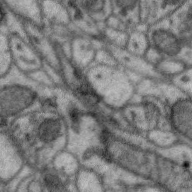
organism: Zebra finch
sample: Brain